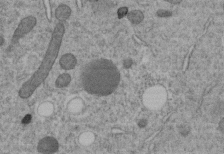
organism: C. elegans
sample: C. elegans embryo early stage